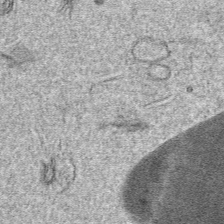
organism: Mouse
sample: Mouse hepatocytes